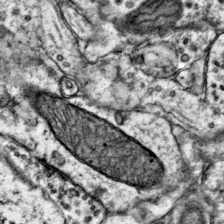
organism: Mouse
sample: Primary visual cortex